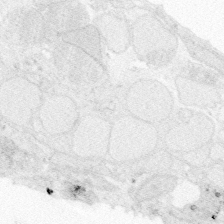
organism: Zebrafish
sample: Whole-Brain